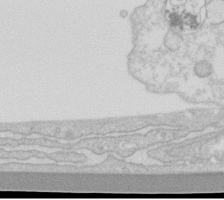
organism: Human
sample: Fibroblast cells